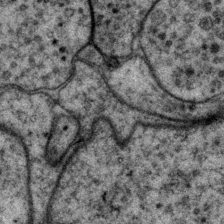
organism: P. pacificus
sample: Pharynx